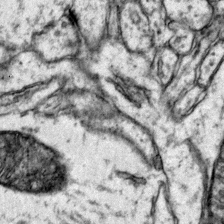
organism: Mouse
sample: Primary visual cortex